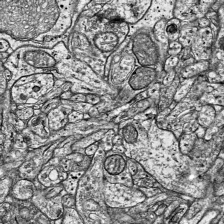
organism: Mouse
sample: Visual Cortex